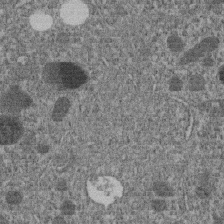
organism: C. elegans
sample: C. elegans embryo early stage